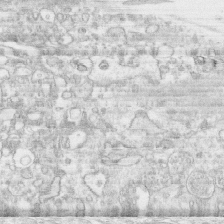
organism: Human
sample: CRL-1474